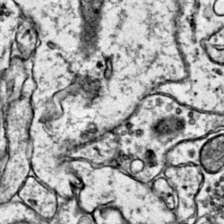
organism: Mouse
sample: Primary visual cortex